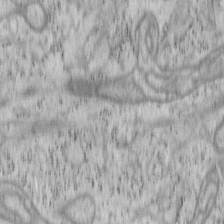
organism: Human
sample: HeLa cells